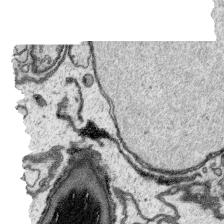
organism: Platynereis dumerilii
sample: Parapodia